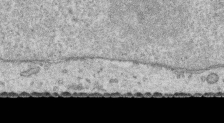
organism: Human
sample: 1205lu cells